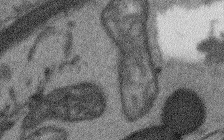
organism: Arabidopsis thaliana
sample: Root tip